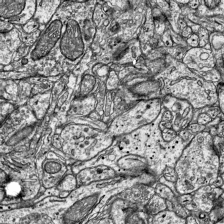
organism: Mouse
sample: Visual Cortex